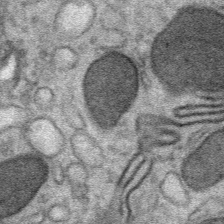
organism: Mouse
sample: Mouse Salivary gland